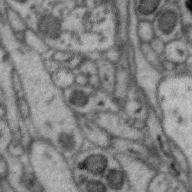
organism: Zebra finch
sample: Brain